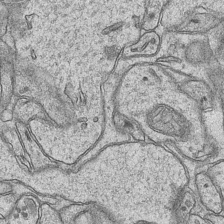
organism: Mouse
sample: CA1 Hippocampus